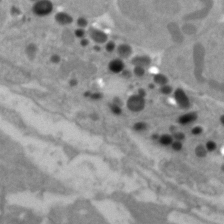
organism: Zebrafish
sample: Zebrafish embryo